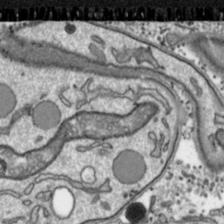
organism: Toxoplasma gondii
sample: Parasites in a vacuole inside a host cell